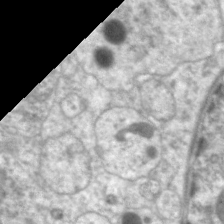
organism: C. elegans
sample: Pharynx